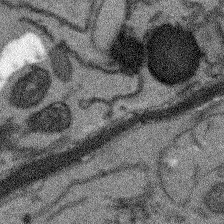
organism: Arabidopsis thaliana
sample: Root tip